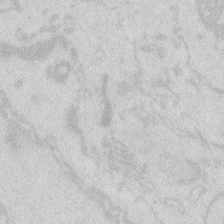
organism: Zebrafish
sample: Macrophage